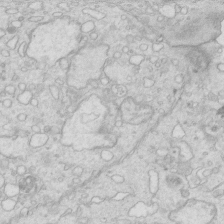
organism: Mouse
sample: Multiciliated cells